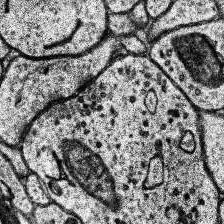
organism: Human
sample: Temporal Lobe